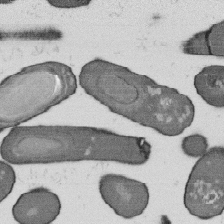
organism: B. subtilis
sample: Bacterial spore